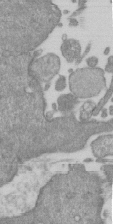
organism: Mouse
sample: ED-1 cell nuclei; centrioles